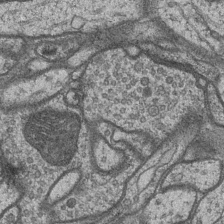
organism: Drosophila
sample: Optic medulla